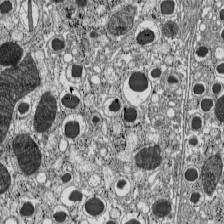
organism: C57BL Mouse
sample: Pancreatic islet